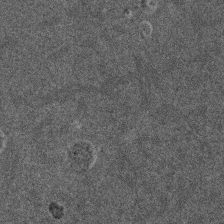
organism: Mouse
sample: Dividing mouse embryo 1 cell stage